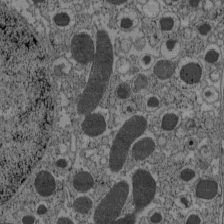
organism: C57BL Mouse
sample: Pancreatic islet